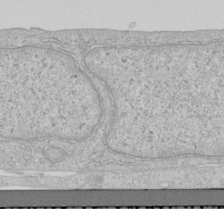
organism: Human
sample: Centriole in RPE cells